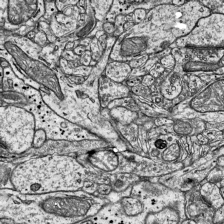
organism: Mouse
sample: Visual Cortex